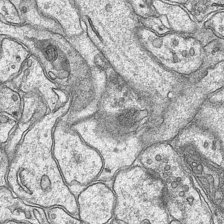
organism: Mouse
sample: CA1 Hippocampus